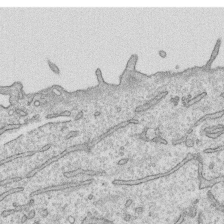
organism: Human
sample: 1205lu cells